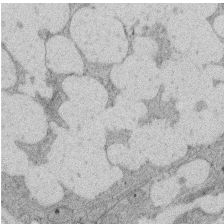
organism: Rat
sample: Salivary granule